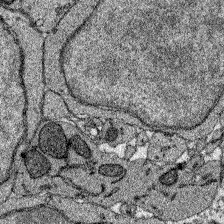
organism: Zebrafish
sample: Larval olfactory bulb